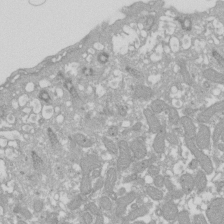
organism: Xenopus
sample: Cilia; centrioles in frog embryo cells